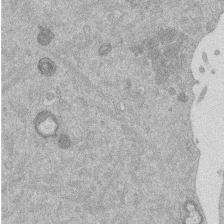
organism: Mouse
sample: Dividing mouse embryo 1 cell stage